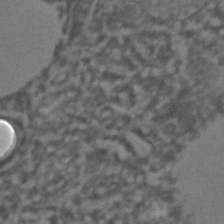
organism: C. elegans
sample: C. elegans embryo